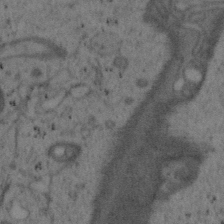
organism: Human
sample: HeLa cells